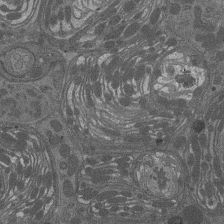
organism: Drosophila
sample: Antenna